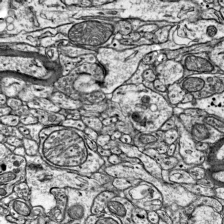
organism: Mouse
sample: Visual Cortex